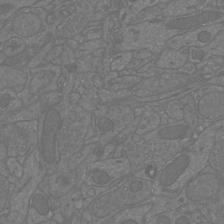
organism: Mouse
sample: Cortical neurons